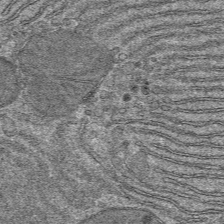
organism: Mouse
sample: Mouse hepatocytes